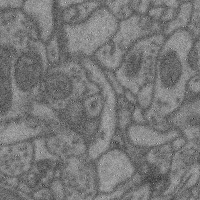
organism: Mouse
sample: Cerebral cortex